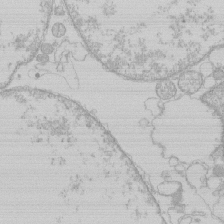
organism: Human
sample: Macrophage cells